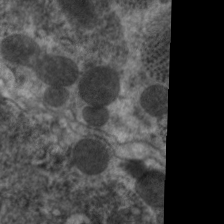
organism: C. elegans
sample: Pharynx